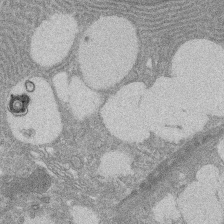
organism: Rat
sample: Salivary granule